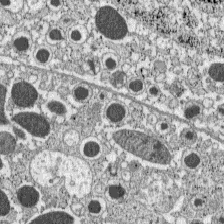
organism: C57BL Mouse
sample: Pancreatic islet